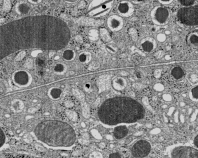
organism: C57BL Mouse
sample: Pancreatic islet